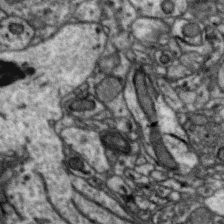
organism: Zebra finch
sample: Brain